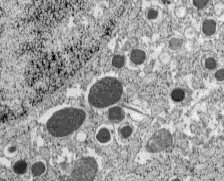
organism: C57BL Mouse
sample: Pancreatic islet